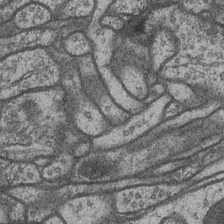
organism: Drosophila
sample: Optic medulla